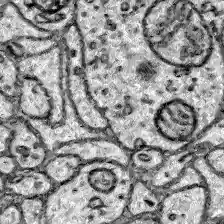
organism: Zebrafish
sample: Brain